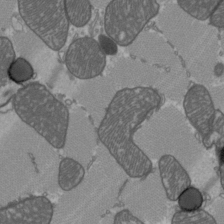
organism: C57BL Mouse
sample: Heart